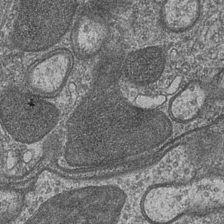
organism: Drosophila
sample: Optic medulla